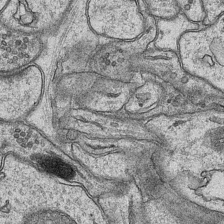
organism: Mouse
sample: CA1 Hippocampus